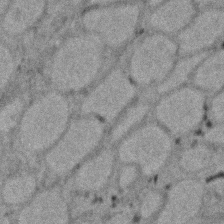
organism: Zebrafish